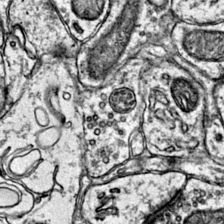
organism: Mouse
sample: Primary visual cortex